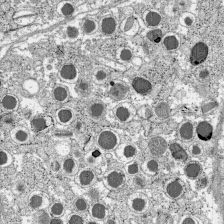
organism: C57BL Mouse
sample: Pancreatic islet